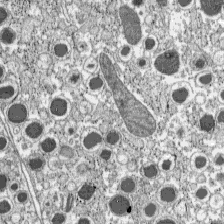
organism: C57BL Mouse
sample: Pancreatic islet